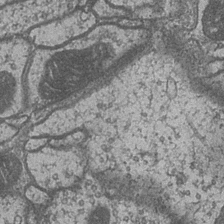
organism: Drosophila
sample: Optic medulla